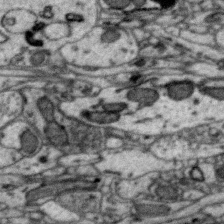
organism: Zebra finch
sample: Brain